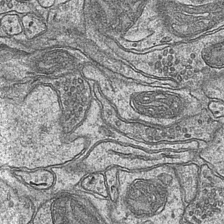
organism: Mouse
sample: CA1 Hippocampus